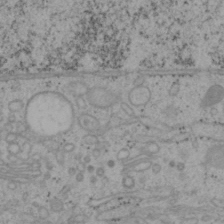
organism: Human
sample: HeLa cells